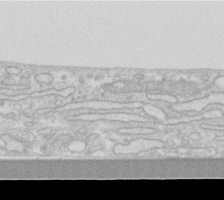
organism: Human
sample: Fibroblast cells